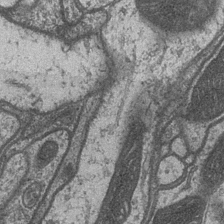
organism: Drosophila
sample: Optic medulla